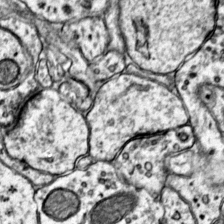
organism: Mouse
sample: Primary visual cortex